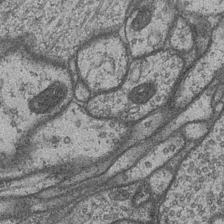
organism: Drosophila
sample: Optic medulla